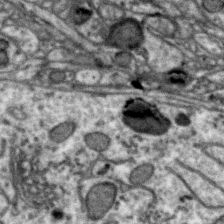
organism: Zebra finch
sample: Brain